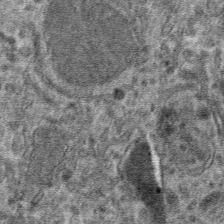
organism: Mouse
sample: Mouse hepatocytes